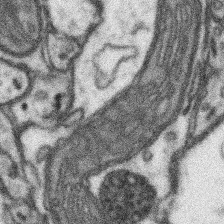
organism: Mouse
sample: Somatosensory cortex neuropil